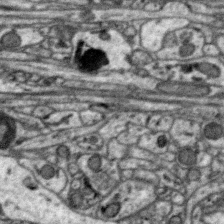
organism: Zebra finch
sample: Brain